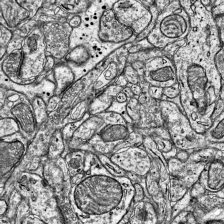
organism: Mouse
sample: Visual Cortex